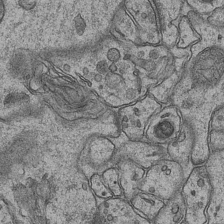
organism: Mouse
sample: CA1 Hippocampus